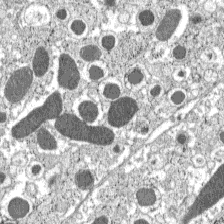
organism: C57BL Mouse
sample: Pancreatic islet